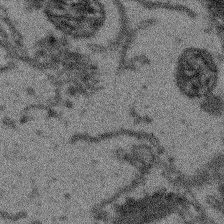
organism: Arabidopsis thaliana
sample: Root tip